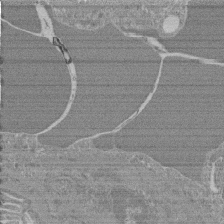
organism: Mouse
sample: Glomerulus